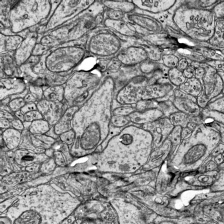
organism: Mouse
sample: Visual Cortex